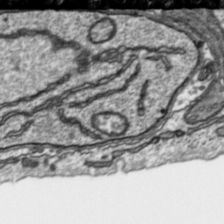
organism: Toxoplasma gondii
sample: Parasites in a vacuole inside a host cell